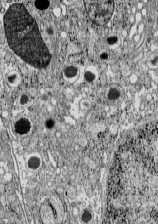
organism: C57BL Mouse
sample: Pancreatic islet